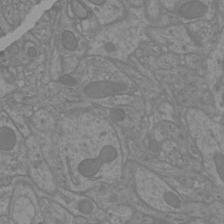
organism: Mouse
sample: Cortical neurons